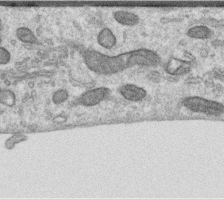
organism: Human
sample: Centriole in RPE cells